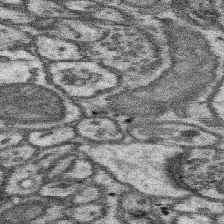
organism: Mouse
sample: Somatosensory cortex neuropil